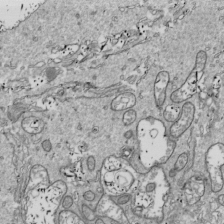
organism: Drosophila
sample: Cell division; meiosis; drosophila spermatocytes